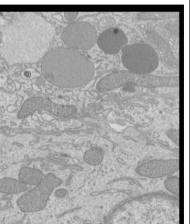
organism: Mouse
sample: Cilia; mouse epididymis